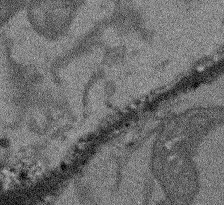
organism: Arabidopsis thaliana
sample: Root tip